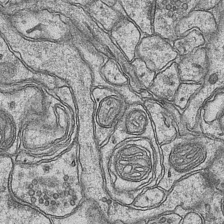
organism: Mouse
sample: CA1 Hippocampus